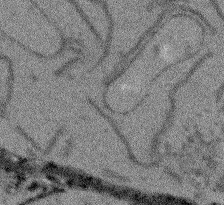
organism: Arabidopsis thaliana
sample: Root tip